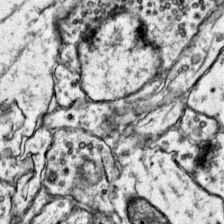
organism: Mouse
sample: Primary visual cortex